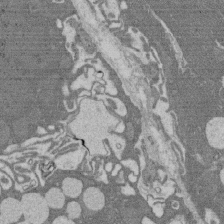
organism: Rat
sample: Salivary granule